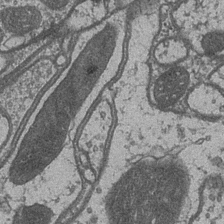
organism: Drosophila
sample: Optic medulla